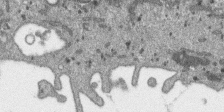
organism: Human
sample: Lung epithelial cells infected with SARS-CoV-2